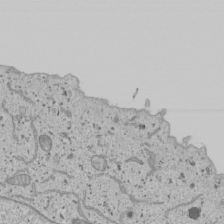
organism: Human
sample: Mitochondria in U2OS cells